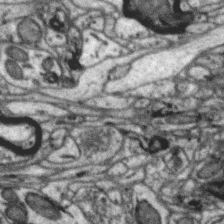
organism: Zebra finch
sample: Brain